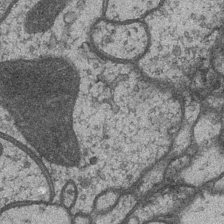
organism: Drosophila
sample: Optic medulla